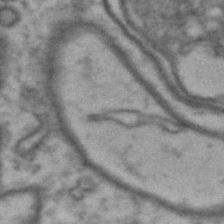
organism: Drosophila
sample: Brain